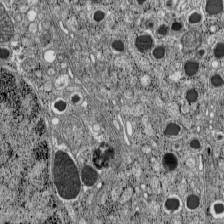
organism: C57BL Mouse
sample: Pancreatic islet